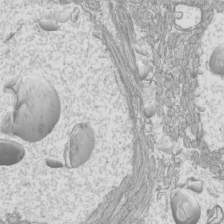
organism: Mouse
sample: Cilia; mouse epididymis